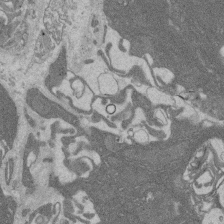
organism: Rat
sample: Salivary granule